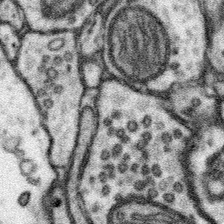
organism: Mouse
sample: Somatosensory cortex neuropil